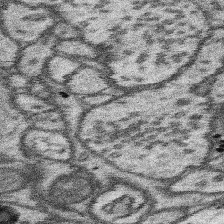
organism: Mouse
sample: Somatosensory cortex neuropil